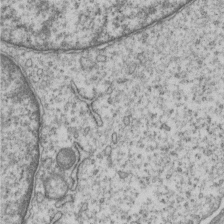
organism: Human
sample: MDA-MB-231 cells